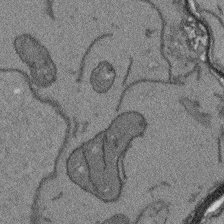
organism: Arabidopsis thaliana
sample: Root tip